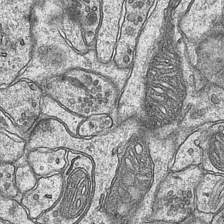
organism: Mouse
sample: CA1 Hippocampus